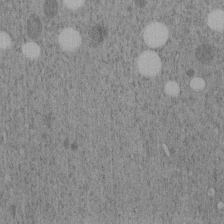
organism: C. elegans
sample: C. elegans embryo early stage